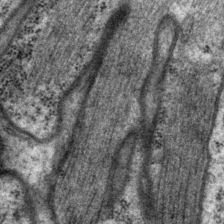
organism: P. pacificus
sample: Pharynx